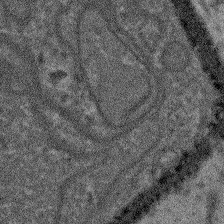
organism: Arabidopsis thaliana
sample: Root tip